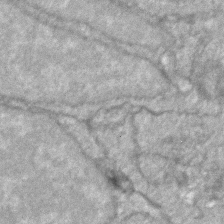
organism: Zebrafish